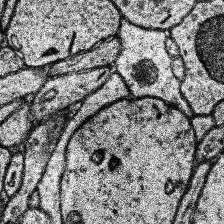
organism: Human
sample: Temporal Lobe